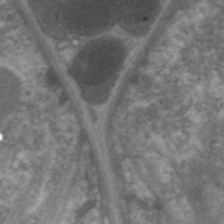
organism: C. elegans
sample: Pharynx